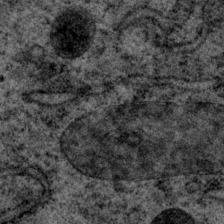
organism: P. pacificus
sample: Pharynx